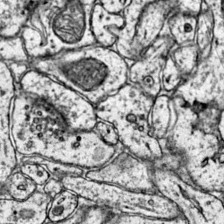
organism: Mouse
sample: Primary visual cortex